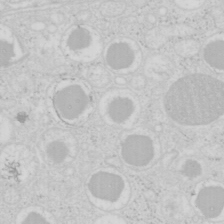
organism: Mouse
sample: Pancreas